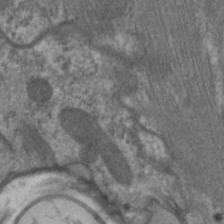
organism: C. elegans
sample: Pharynx